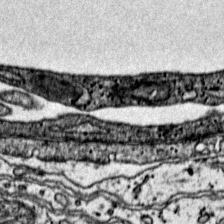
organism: Mouse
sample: Primary visual cortex